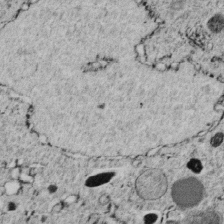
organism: C. elegans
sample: C. elegans embryo early stage